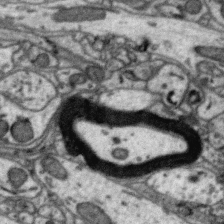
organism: Zebra finch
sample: Brain